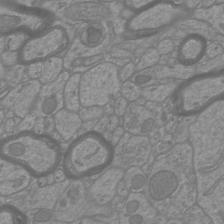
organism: Mouse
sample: Cortical neurons